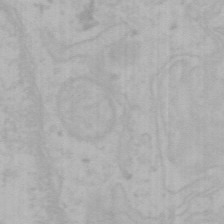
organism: Mouse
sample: Choroid plexus